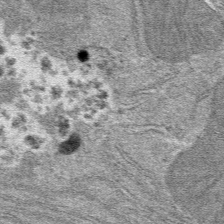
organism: Mouse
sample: Mouse hepatocytes